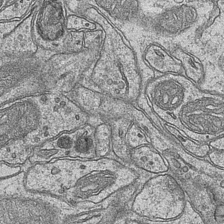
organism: Mouse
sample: CA1 Hippocampus